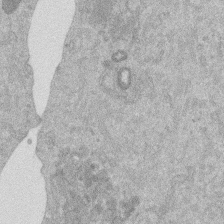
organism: Mouse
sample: Dividing mouse embryo 1 cell stage